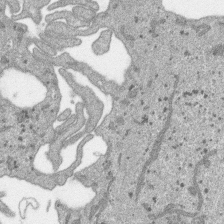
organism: Human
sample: Lung epithelial cells infected with SARS-CoV-2